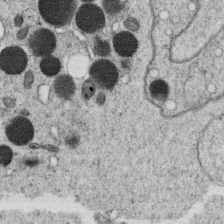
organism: C. elegans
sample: C. elegans oocyte; sperm cells